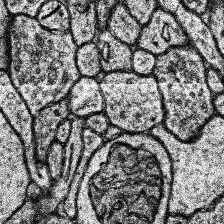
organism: Human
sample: Temporal Lobe